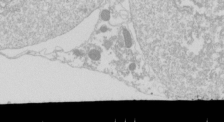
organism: Drosophila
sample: Cell division; meiosis; drosophila spermatocytes